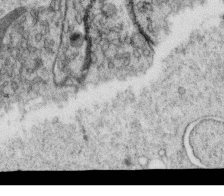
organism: C. elegans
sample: C. elegans oocyte; sperm cells